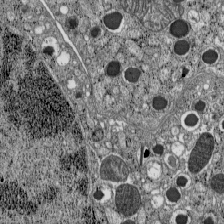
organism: C57BL Mouse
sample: Pancreatic islet